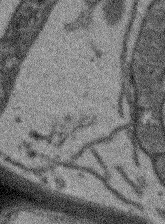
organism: Arabidopsis thaliana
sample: Root tip